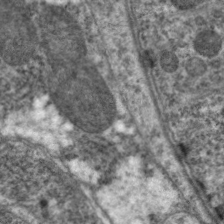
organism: C. elegans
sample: Pharynx